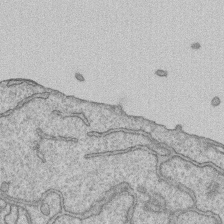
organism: Human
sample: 1205lu cells